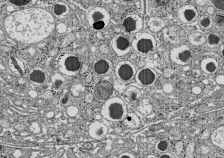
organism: C57BL Mouse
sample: Pancreatic islet